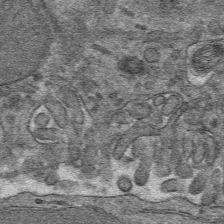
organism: Mouse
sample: Mouse hepatocytes